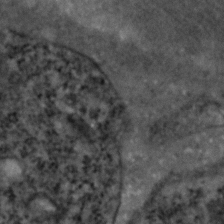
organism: Zebrafish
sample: Zebrafish embryo